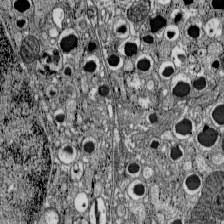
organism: C57BL Mouse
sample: Pancreatic islet